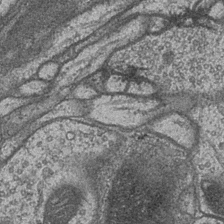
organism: Drosophila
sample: Optic medulla